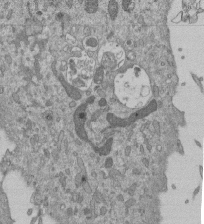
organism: Mouse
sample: ED-1 cell nuclei; centrioles